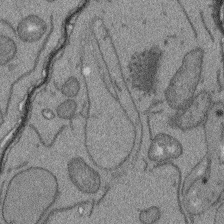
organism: Arabidopsis thaliana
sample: Root tip